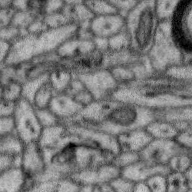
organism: Zebra finch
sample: Brain